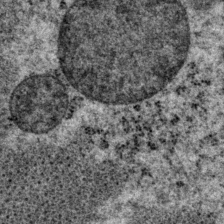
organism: P. pacificus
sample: Pharynx